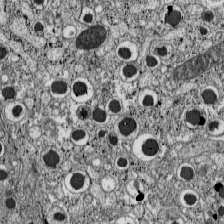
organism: C57BL Mouse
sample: Pancreatic islet